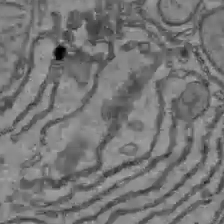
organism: C57BL Mouse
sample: Liver